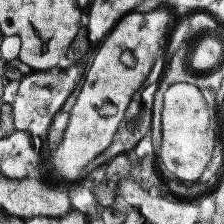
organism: Human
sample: Temporal Lobe